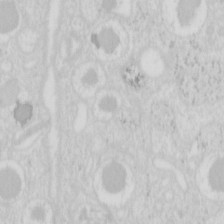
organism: Mouse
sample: Pancreas